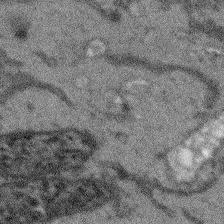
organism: Arabidopsis thaliana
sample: Root tip